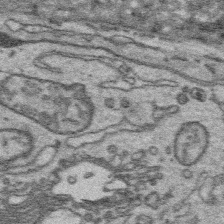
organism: Platynereis dumerilii